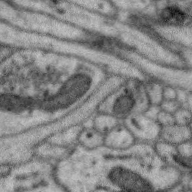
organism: Zebra finch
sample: Brain